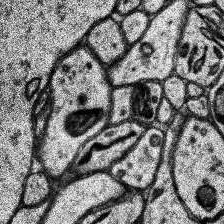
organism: Human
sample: Temporal Lobe